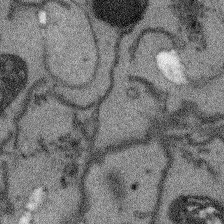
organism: Arabidopsis thaliana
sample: Root tip